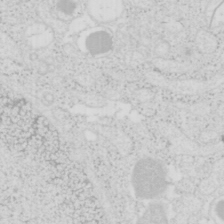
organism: Mouse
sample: Pancreas